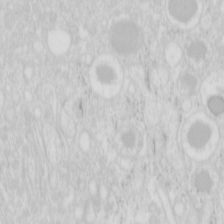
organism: Mouse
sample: Pancreas